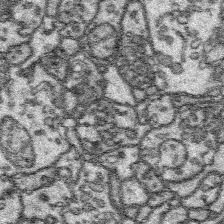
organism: Platynereis dumerilii